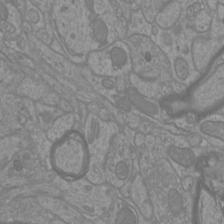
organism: Mouse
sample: Cortical neurons